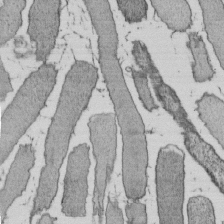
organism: E. coli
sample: Bacterial nucleoid